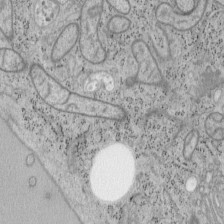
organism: Mouse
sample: OT-I killer T cells with ID8 ovarian cancer cells